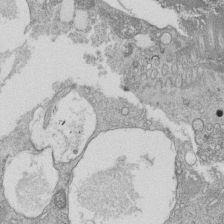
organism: Tetrahymena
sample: Cilia in tetrahymena